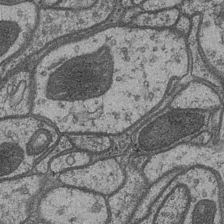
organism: Drosophila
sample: Optic medulla